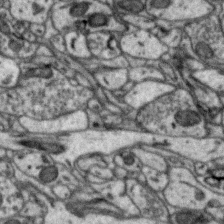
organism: Zebra finch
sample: Brain